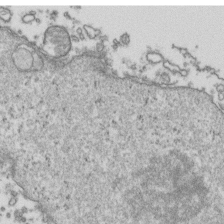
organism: Human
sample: Activated Jurkat CD4+ T cells